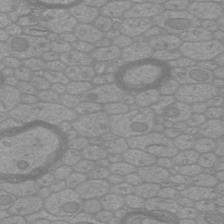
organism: Mouse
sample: Cortical neurons